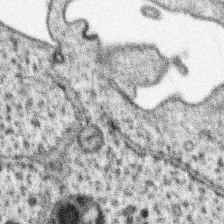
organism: Human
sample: HeLa cells